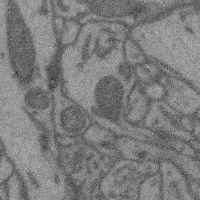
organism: Mouse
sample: Cerebral cortex